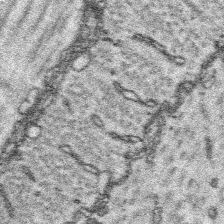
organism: Platynereis dumerilii